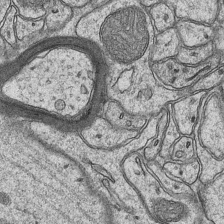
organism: Mouse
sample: CA1 Hippocampus